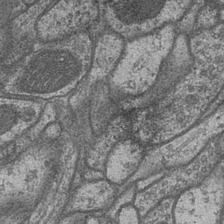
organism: Drosophila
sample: Optic medulla